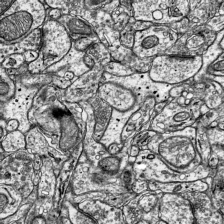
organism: Mouse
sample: Visual Cortex